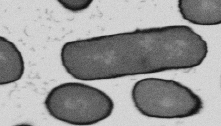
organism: B. subtilis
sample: Bacterial spore